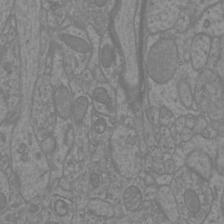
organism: Mouse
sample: Cortical neurons